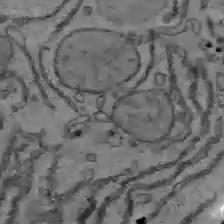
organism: C57BL Mouse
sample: Liver